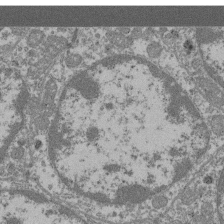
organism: Mouse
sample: Glomerulus